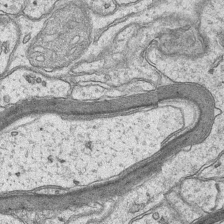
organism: Mouse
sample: CA1 Hippocampus